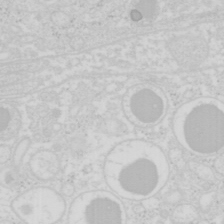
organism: Mouse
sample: Pancreas